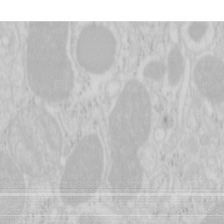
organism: Mouse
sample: Pancreas